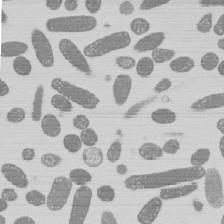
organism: E. coli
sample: Bacterial nucleoid